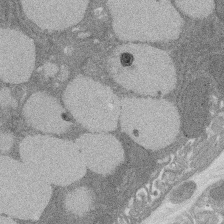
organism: Rat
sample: Salivary granule